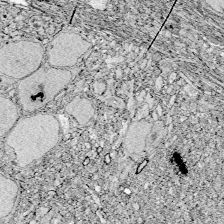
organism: Zebrafish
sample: Whole-Brain